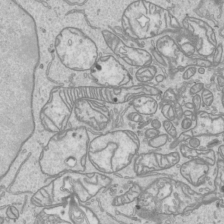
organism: Human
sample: Mitochondria in HCT116 cells